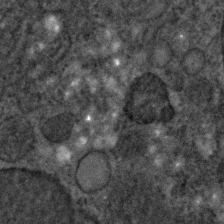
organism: C. elegans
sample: C. elegans embryo